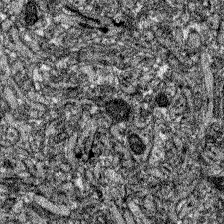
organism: Zebrafish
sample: Larval olfactory bulb